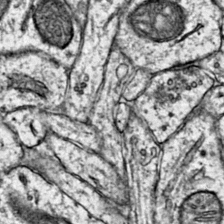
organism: Mouse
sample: Primary visual cortex